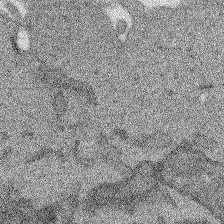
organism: Human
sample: HeLa cells